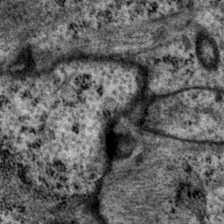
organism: P. pacificus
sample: Pharynx